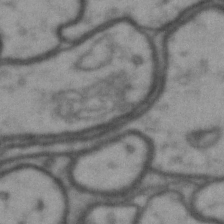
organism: Drosophila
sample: Brain